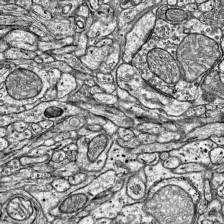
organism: Mouse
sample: Visual Cortex